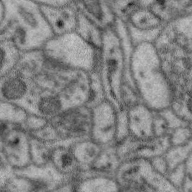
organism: Zebra finch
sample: Brain